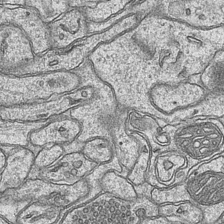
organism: Mouse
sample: CA1 Hippocampus